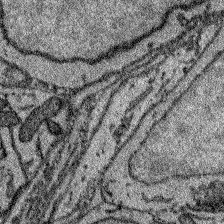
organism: Zebrafish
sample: Larval olfactory bulb